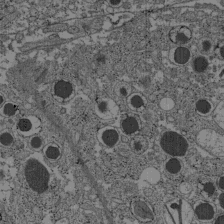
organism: C57BL Mouse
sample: Pancreatic islet